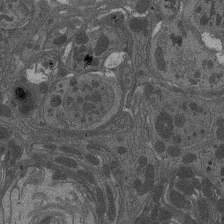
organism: Drosophila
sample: Antenna